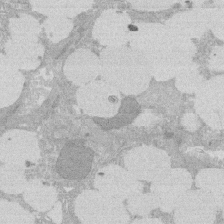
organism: Rat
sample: Salivary granule